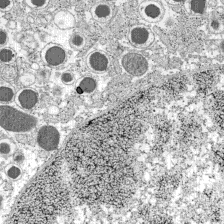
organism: C57BL Mouse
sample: Pancreatic islet